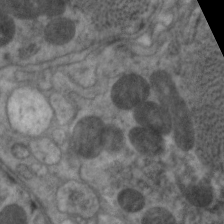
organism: C. elegans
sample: Pharynx